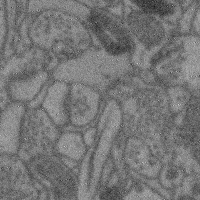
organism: Mouse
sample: Cerebral cortex